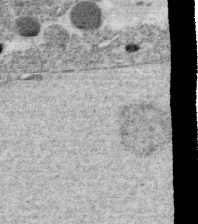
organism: C. elegans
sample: C. elegans oocyte; sperm cells